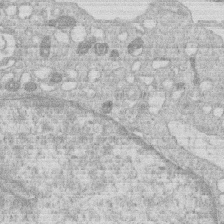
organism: Human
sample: Macrophage cells